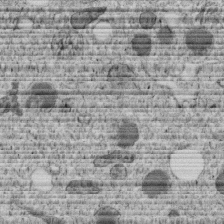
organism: C. elegans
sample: C. elegans embryo early stage